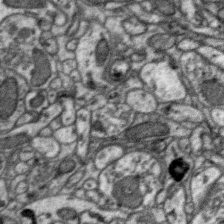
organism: Zebra finch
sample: Brain